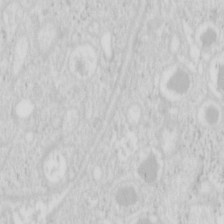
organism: Mouse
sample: Pancreas